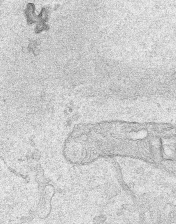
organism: Human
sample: Mitochondria in HCT116 cells